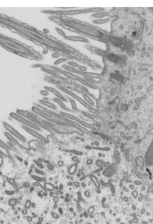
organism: Mouse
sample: Mouse epididymis efferent ductule cilia